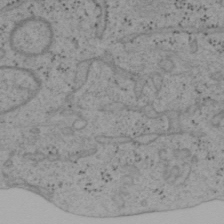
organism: Human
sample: HeLa cells